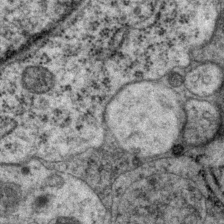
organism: P. pacificus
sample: Pharynx